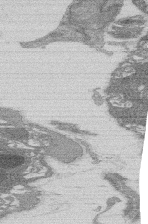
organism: Rat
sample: Salivary granule